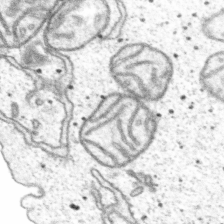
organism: Human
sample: HeLa cells